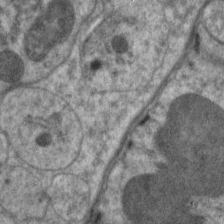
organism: C. elegans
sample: Pharynx